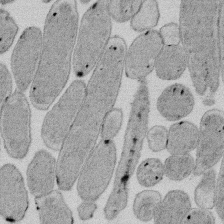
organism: E. coli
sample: Bacterial nucleoid